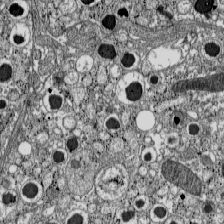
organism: C57BL Mouse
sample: Pancreatic islet